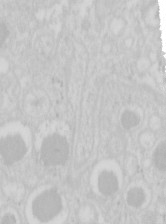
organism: Mouse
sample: Pancreas